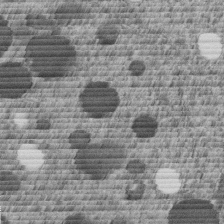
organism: C. elegans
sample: C. elegans embryo early stage